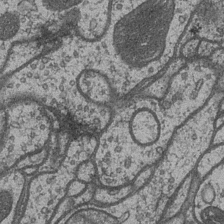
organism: Drosophila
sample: Optic medulla